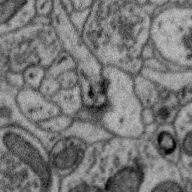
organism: Zebra finch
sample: Brain